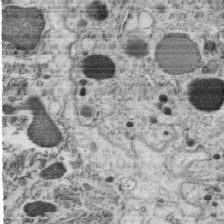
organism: C. elegans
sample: C. elegans oocyte; sperm cells